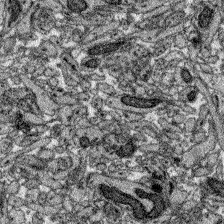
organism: Zebrafish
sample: Larval olfactory bulb